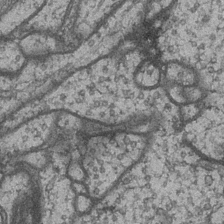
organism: Drosophila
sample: Optic medulla